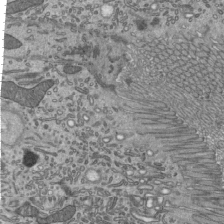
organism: Mouse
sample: Mouse epididymis efferent ductule cilia